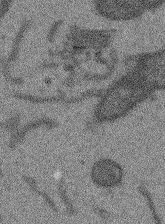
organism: Arabidopsis thaliana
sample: Root tip